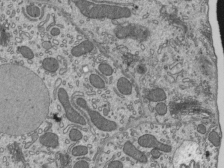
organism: Mouse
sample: Mouse epididymis efferent ductule cilia